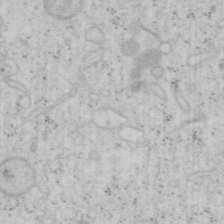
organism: Human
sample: HeLa cells